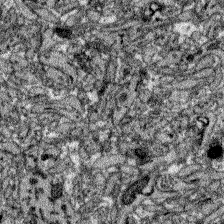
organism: Zebrafish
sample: Larval olfactory bulb